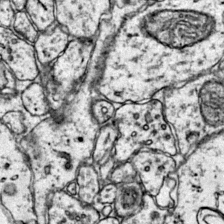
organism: Mouse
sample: Primary visual cortex